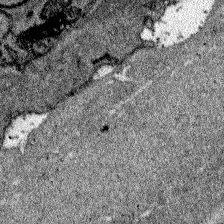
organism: Zebrafish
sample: Larval olfactory bulb